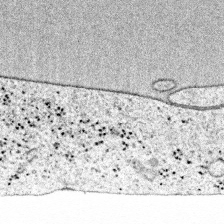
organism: Human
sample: HeLa cells